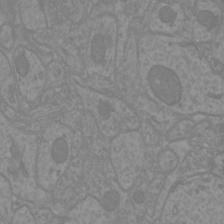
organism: Mouse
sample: Cortical neurons